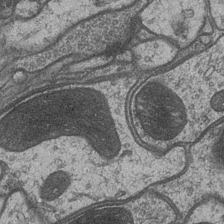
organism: Drosophila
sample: Optic medulla